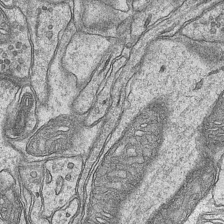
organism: Mouse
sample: CA1 Hippocampus